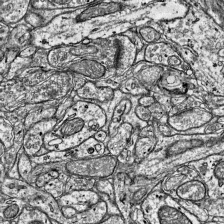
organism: Mouse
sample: Visual Cortex